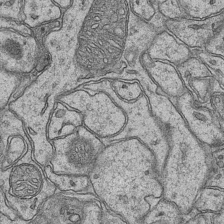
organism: Mouse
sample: CA1 Hippocampus